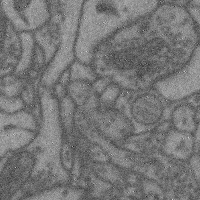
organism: Mouse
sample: Cerebral cortex